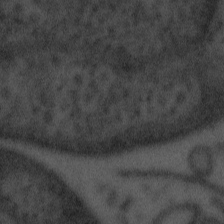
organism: Tuwongella immobilis